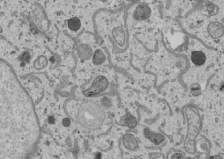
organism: Human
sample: Mitochondria in U2OS cells